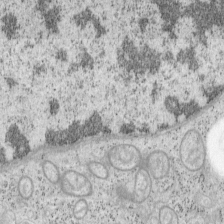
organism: Mouse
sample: OT-I killer T cells with ID8 ovarian cancer cells